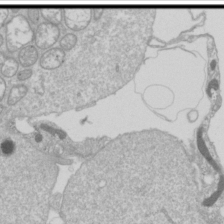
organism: Drosophila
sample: Cell division; meiosis; drosophila spermatocytes